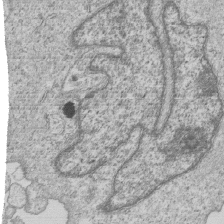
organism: Human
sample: MDA-MB-231 cells